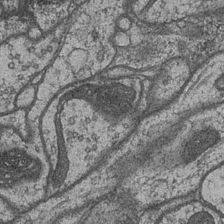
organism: Drosophila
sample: Optic medulla